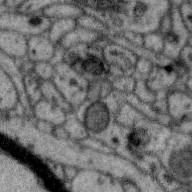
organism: Zebra finch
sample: Brain